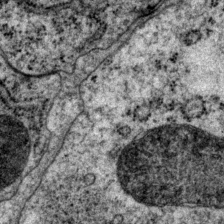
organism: P. pacificus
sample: Pharynx